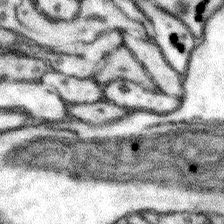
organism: Mouse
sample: Somatosensory cortex neuropil